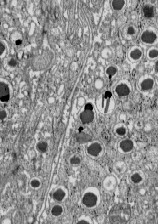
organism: C57BL Mouse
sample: Pancreatic islet